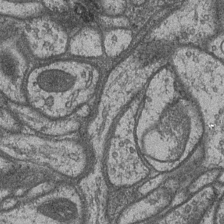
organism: Drosophila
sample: Optic medulla